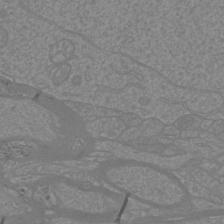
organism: Mouse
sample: Cortical neurons